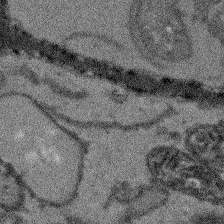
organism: Arabidopsis thaliana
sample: Root tip